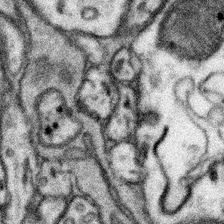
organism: Mouse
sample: Somatosensory cortex neuropil